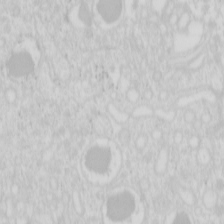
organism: Mouse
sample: Pancreas